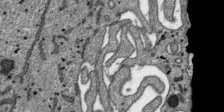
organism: Human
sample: Lung epithelial cells, uninfected (mock) control